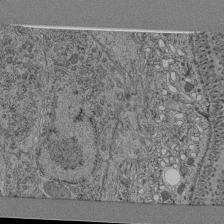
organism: C. elegans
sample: C. elegans pharynx